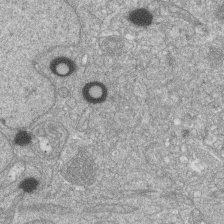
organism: Human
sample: HeLa cell HIV synapse